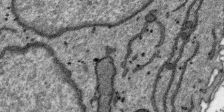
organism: Human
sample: Lung epithelial cells, uninfected (mock) control